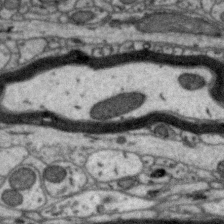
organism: Zebra finch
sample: Brain